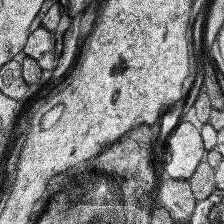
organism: Human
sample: Temporal Lobe